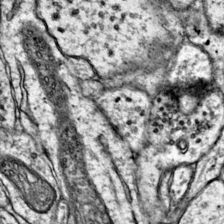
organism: Mouse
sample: Primary visual cortex